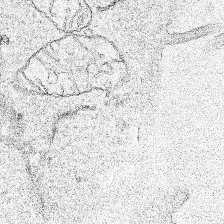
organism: Human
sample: Mitochondria in HCT116 cells